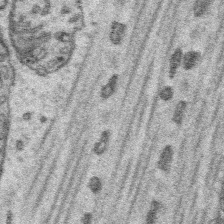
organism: Platynereis dumerilii